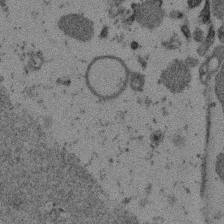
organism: Mouse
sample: Dividing mouse embryo 1 cell stage